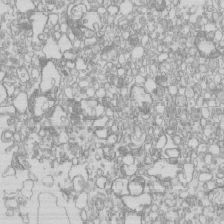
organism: Mouse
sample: Macrophages